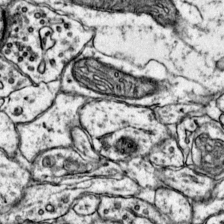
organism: Mouse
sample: Primary visual cortex